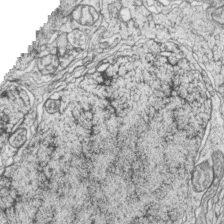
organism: Zebrafish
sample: synaptic ribbons in rod cells and cone cells